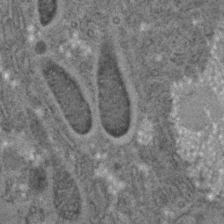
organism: C. elegans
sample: C. elegans embryo